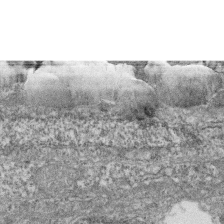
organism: Zebrafish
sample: Cilia; retinal pigment epithelium